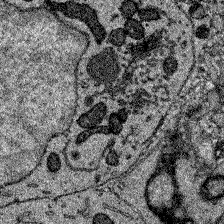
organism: Zebrafish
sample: Larval olfactory bulb